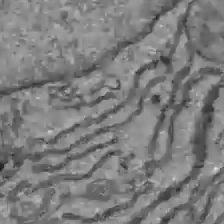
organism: C57BL Mouse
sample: Liver